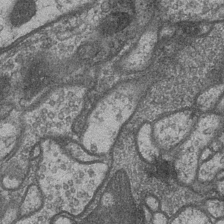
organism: Drosophila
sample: Optic medulla